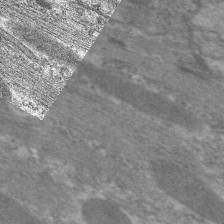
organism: C. elegans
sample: Pharynx